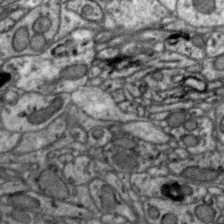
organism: Zebra finch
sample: Brain